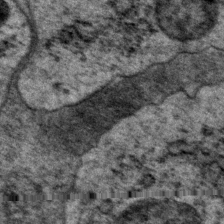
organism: P. pacificus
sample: Pharynx